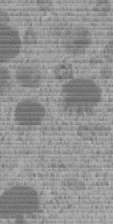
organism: C. elegans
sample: C. elegans embryo early stage